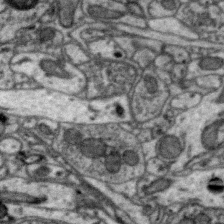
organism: Zebra finch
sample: Brain